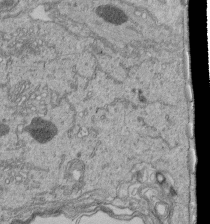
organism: Human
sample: Retinal organoid Rod and Cone cells